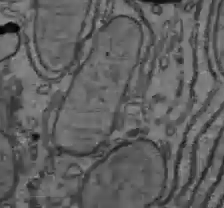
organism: C57BL Mouse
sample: Liver